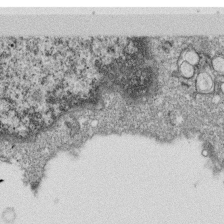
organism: African green monkey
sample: Vero E6 cells infected with SARS-CoV-2